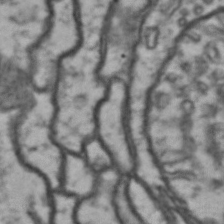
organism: Drosophila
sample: Brain